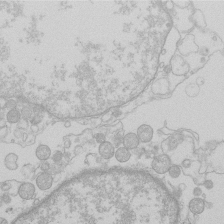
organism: Human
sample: Macrophage cells